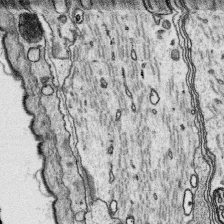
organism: Platynereis dumerilii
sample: Parapodia